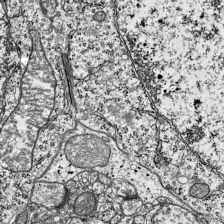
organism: Mouse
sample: Visual Cortex